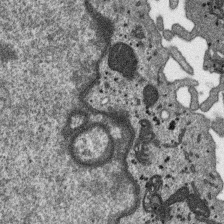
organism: Human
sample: Lung epithelial cells infected with SARS-CoV-2